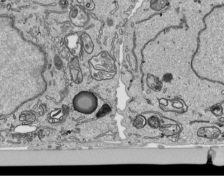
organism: Human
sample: Mitochondria in HCT116 cells